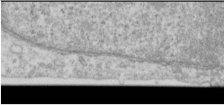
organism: Human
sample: Cilia; basal body in RPE cells